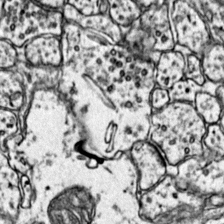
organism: Mouse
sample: Primary visual cortex